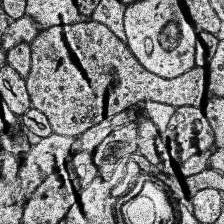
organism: Human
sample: Temporal Lobe